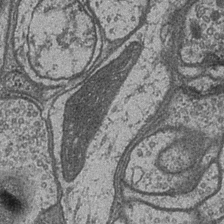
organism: Drosophila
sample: Optic medulla